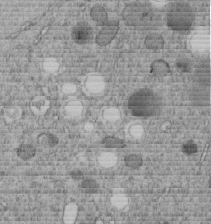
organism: C. elegans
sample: C. elegans embryo early stage